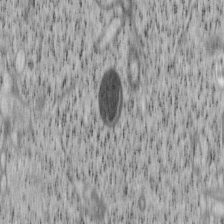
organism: Human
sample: HeLa cells